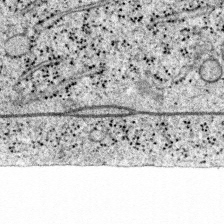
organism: Human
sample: HeLa cells